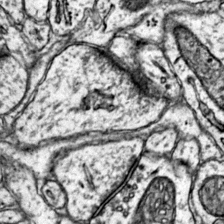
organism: Mouse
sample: Primary visual cortex